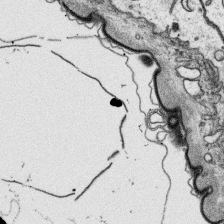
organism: Platynereis dumerilii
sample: Parapodia